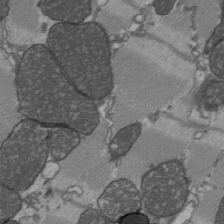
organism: C57BL Mouse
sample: Heart